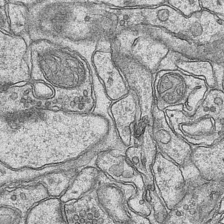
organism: Mouse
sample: CA1 Hippocampus